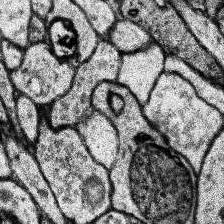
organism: Human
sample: Temporal Lobe